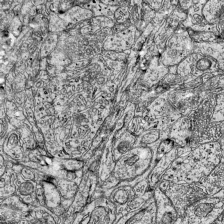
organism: Mouse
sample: Visual Cortex